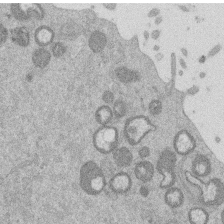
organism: Mouse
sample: Dividing mouse embryo 1 cell stage